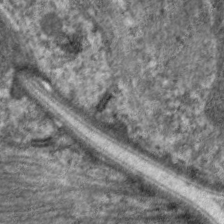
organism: C. elegans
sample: Pharynx